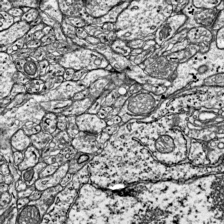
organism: Mouse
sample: Visual Cortex